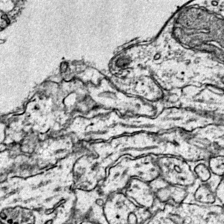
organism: Mouse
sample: Primary visual cortex